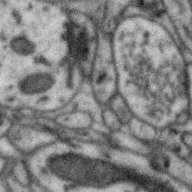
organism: Zebra finch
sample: Brain